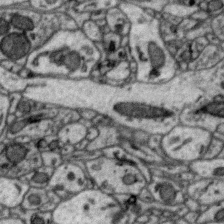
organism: Zebra finch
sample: Brain